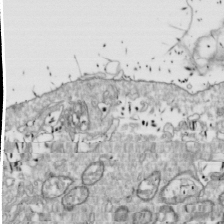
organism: Drosophila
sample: Cell division; meiosis; drosophila spermatocytes